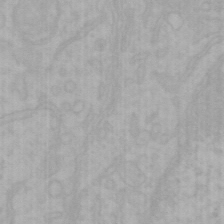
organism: Mouse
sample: Choroid plexus